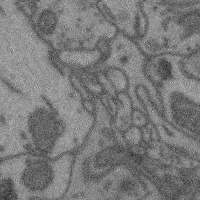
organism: Mouse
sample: Cerebral cortex